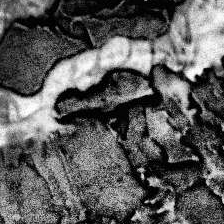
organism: Human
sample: Temporal Lobe